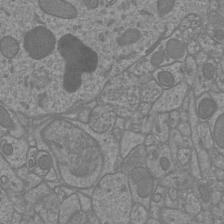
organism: Mouse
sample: Cortical neurons